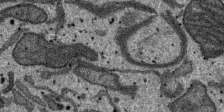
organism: Human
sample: Lung epithelial cells, uninfected (mock) control